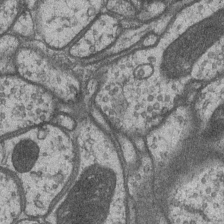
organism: Drosophila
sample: Optic medulla